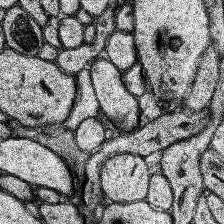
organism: Human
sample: Temporal Lobe